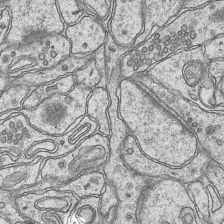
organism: Mouse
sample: CA1 Hippocampus